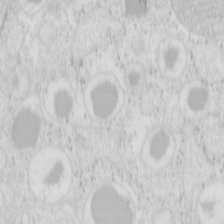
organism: Mouse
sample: Pancreas